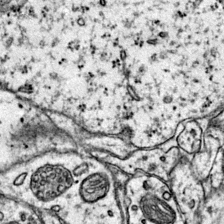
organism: Mouse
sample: Primary visual cortex